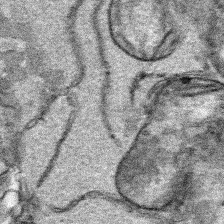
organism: Human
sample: Mitochondria in HCT116 cells